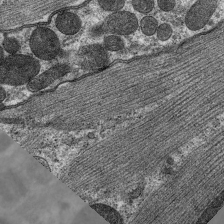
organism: C. elegans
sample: Pharynx